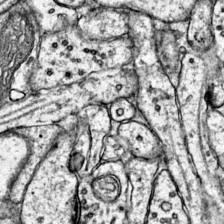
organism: Mouse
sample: Primary visual cortex